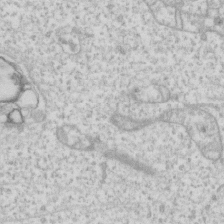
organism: Human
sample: Fibroblast cells